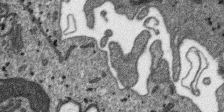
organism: Human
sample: Lung epithelial cells infected with SARS-CoV-2